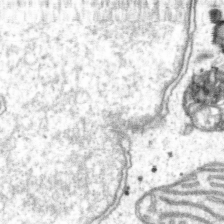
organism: Human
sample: HeLa cells